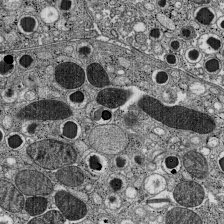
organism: C57BL Mouse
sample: Pancreatic islet